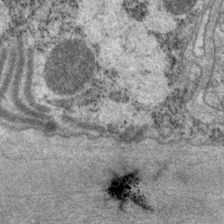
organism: P. pacificus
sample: Pharynx